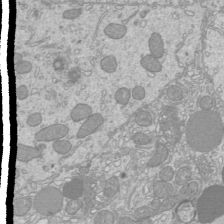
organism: Mouse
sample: Cilia; mouse epididymis